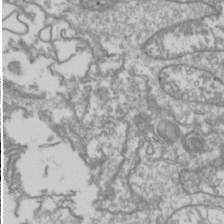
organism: Drosophila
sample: Cell division; meiosis; drosophila spermatocytes